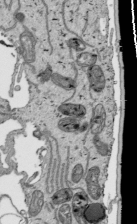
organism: Human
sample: Mitochondria in HCT116 cells